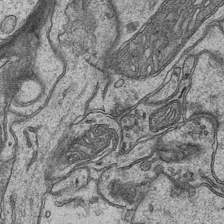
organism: Mouse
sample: CA1 Hippocampus